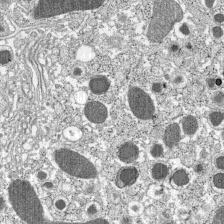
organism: C57BL Mouse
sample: Pancreatic islet